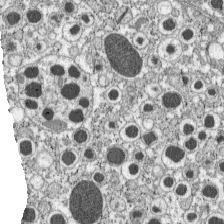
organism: C57BL Mouse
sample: Pancreatic islet